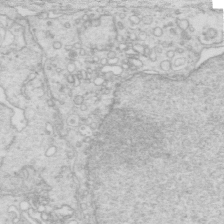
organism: Mouse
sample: Multiciliated cells